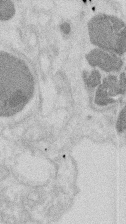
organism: Mouse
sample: T cell stromal cell synapse